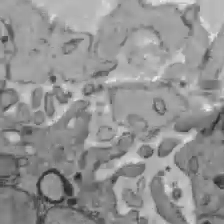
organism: C57BL Mouse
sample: Liver